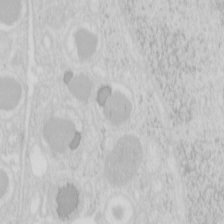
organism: Mouse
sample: Pancreas